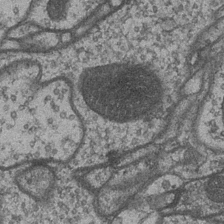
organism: Drosophila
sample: Optic medulla